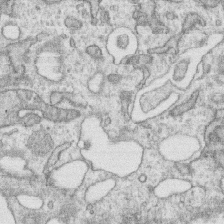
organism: Human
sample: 1205lu cells